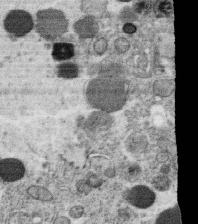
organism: C. elegans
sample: C. elegans oocyte; sperm cells